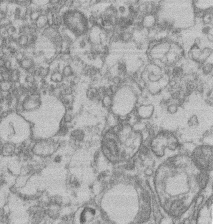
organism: Mouse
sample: T cell stromal cell synapse